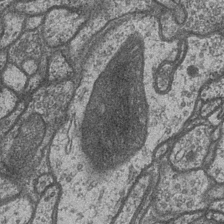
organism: Drosophila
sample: Optic medulla